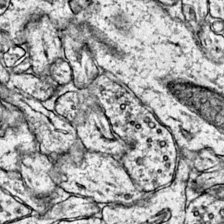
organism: Mouse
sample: Primary visual cortex